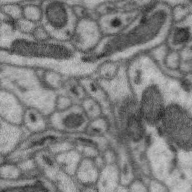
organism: Zebra finch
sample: Brain